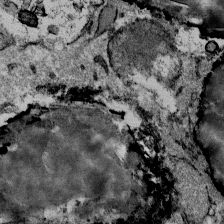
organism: Mouse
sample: Mouse Salivary gland